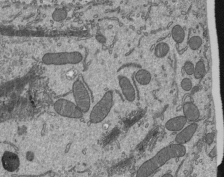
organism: Mouse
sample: Mouse epididymis efferent ductule cilia